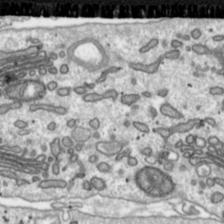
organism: Toxoplasma gondii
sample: Parasites in a vacuole inside a host cell